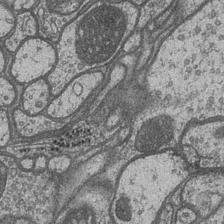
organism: Drosophila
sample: Optic medulla